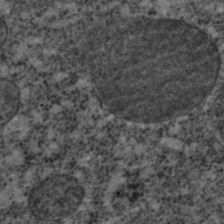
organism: C. elegans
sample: C. elegans embryo